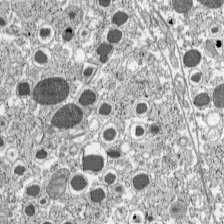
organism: C57BL Mouse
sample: Pancreatic islet